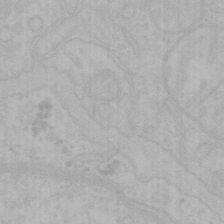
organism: Mouse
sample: Choroid plexus